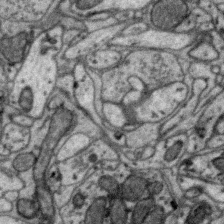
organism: Zebra finch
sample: Brain